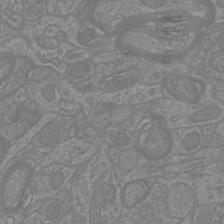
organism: Mouse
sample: Cortical neurons